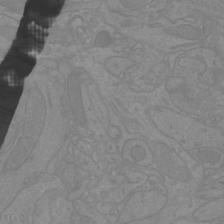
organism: Mouse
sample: Cortical neurons